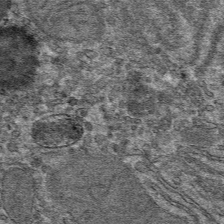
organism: Mouse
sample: Mouse hepatocytes